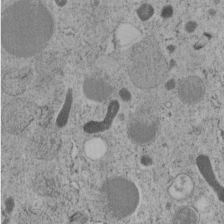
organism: C. elegans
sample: C. elegans embryo early stage